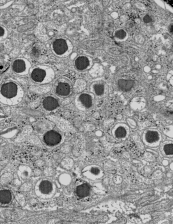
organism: C57BL Mouse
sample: Pancreatic islet